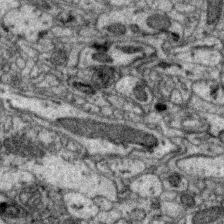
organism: Zebra finch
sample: Brain